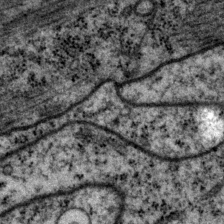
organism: P. pacificus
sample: Pharynx